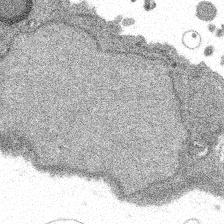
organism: Spongilla lacustris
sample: Multiple